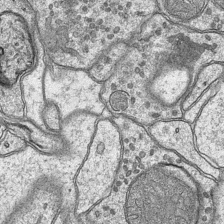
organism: Mouse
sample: CA1 Hippocampus